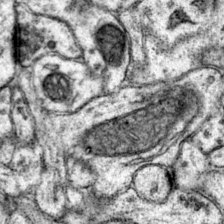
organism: Mouse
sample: Primary visual cortex